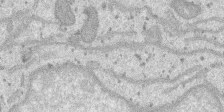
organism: Human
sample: Lung epithelial cells infected with SARS-CoV-2